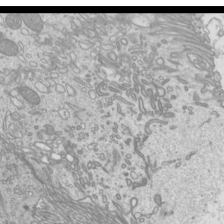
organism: Mouse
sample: Cilia; mouse epididymis